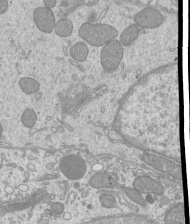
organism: Mouse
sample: Cilia; mouse epididymis